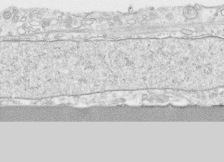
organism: Human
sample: CRL-1474